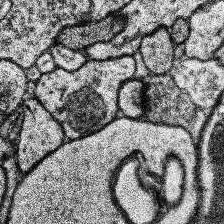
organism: Human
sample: Temporal Lobe